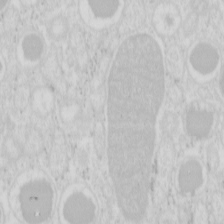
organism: Mouse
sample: Pancreas